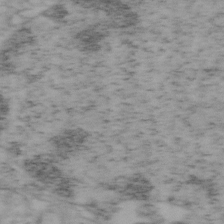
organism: Mouse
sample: OT-I killer T cells with ID8 ovarian cancer cells